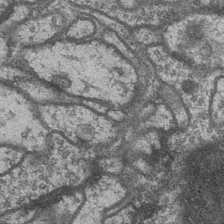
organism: Drosophila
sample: Optic medulla